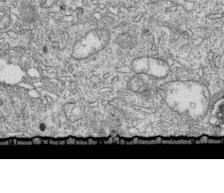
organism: Human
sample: HeLa cell HIV synapse